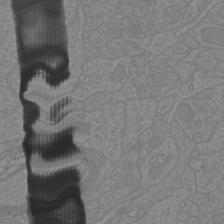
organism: Mouse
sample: Cortical neurons